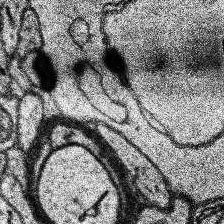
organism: Human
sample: Temporal Lobe